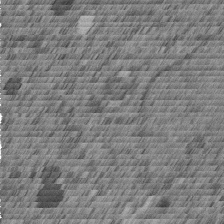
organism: C. elegans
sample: C. elegans embryo early stage